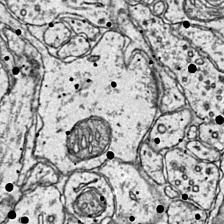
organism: Mouse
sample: Primary visual cortex